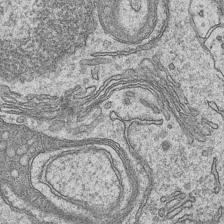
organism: Mouse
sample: CA1 Hippocampus